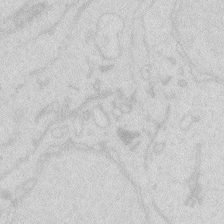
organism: Zebrafish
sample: Macrophage